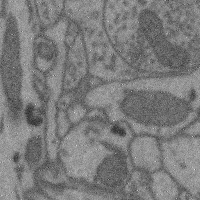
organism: Mouse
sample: Cerebral cortex